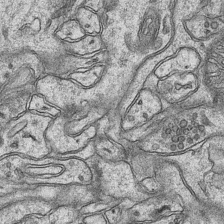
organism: Mouse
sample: CA1 Hippocampus